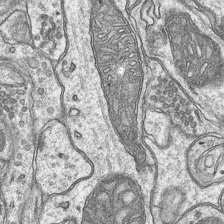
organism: Mouse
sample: CA1 Hippocampus